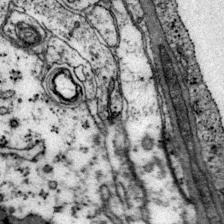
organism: Mouse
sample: Primary visual cortex